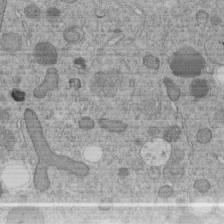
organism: C. elegans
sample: C. elegans embryo early stage